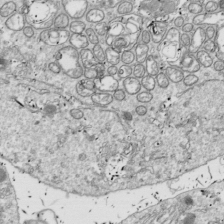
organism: Drosophila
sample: Cell division; meiosis; drosophila spermatocytes